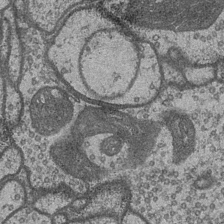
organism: Drosophila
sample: Optic medulla